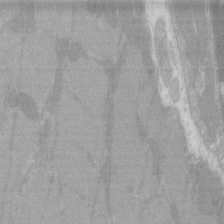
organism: C57BL Mouse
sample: Tibialis anterior muscle cell